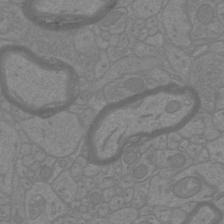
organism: Mouse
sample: Cortical neurons